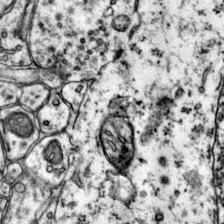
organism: Mouse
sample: Primary visual cortex